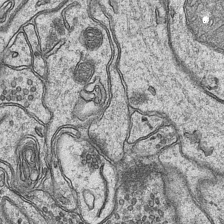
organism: Mouse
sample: CA1 Hippocampus